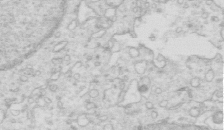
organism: Mouse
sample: Multiciliated cells